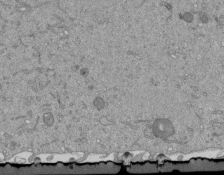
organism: Mouse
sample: ED-1 cell nuclei; centrioles